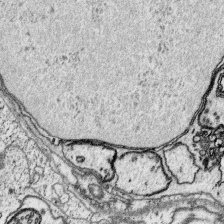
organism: Platynereis dumerilii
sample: Parapodia